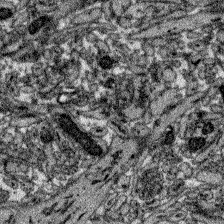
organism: Zebrafish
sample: Larval olfactory bulb